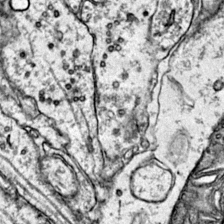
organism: Mouse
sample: Primary visual cortex